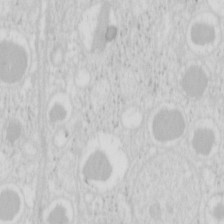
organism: Mouse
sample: Pancreas